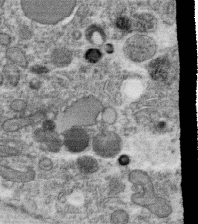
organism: C. elegans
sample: C. elegans oocyte; sperm cells